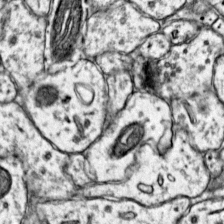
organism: Mouse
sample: Primary visual cortex